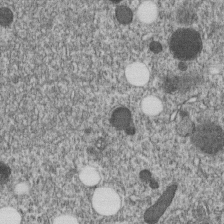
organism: C. elegans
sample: C. elegans embryo early stage